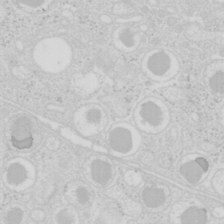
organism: Mouse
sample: Pancreas